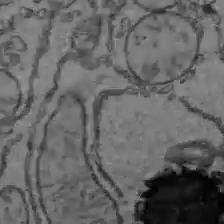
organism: C57BL Mouse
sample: Liver